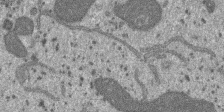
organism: Human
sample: Lung epithelial cells infected with SARS-CoV-2